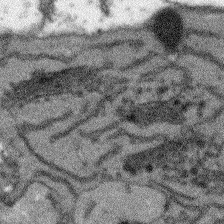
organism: Arabidopsis thaliana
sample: Root tip